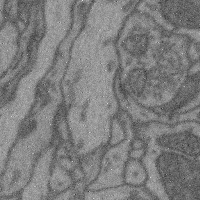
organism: Mouse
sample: Cerebral cortex